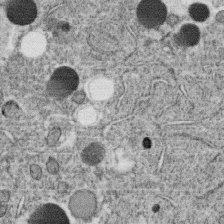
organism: C. elegans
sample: C. elegans oocyte; sperm cells